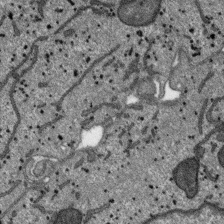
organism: Human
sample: Lung epithelial cells, uninfected (mock) control